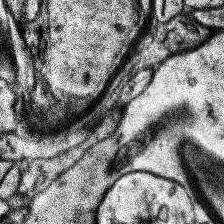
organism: Human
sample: Temporal Lobe